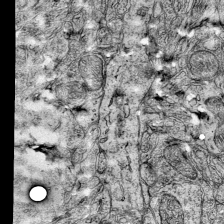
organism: Mouse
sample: Visual Cortex